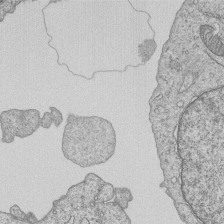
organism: Human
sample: MDA-MB-231 cells